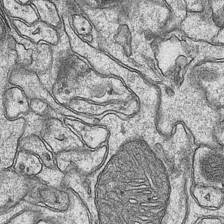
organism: Mouse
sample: CA1 Hippocampus